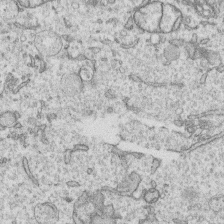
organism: Human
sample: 1205lu cells